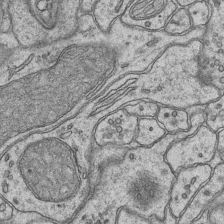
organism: Mouse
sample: CA1 Hippocampus